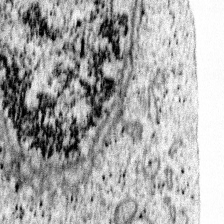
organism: Human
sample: HeLa cells